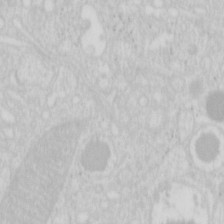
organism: Mouse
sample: Pancreas